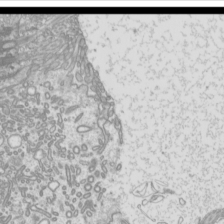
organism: Mouse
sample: Cilia; mouse epididymis